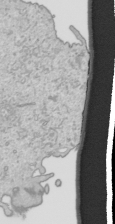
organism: Human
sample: Mitochondria in HCT116 cells